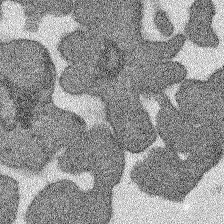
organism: Human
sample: HeLa cells